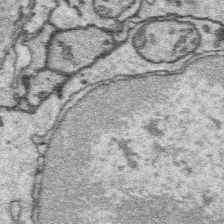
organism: Platynereis dumerilii